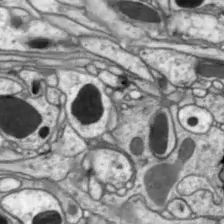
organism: Drosophila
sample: Optic lobe